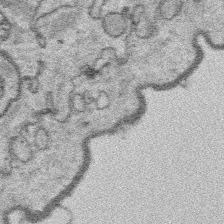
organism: Platynereis dumerilii